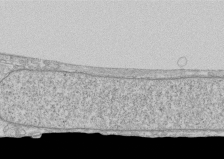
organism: Human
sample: CRL-1474